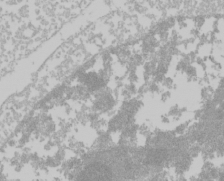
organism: Mouse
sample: Cancer cell death in ED-1 cells